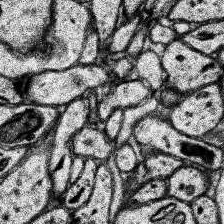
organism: Human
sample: Temporal Lobe